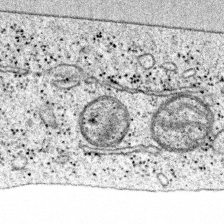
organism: Human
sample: HeLa cells